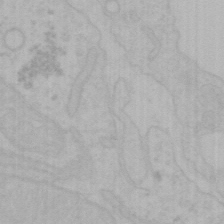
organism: Mouse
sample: Choroid plexus